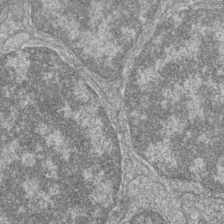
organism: Zebrafish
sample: Cilia; retinal pigment epithelium